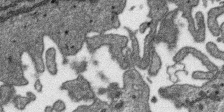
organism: Human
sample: Lung epithelial cells infected with SARS-CoV-2